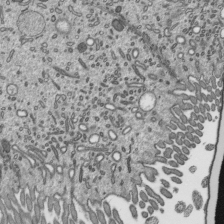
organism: Mouse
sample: Mouse epididymis efferent ductule cilia